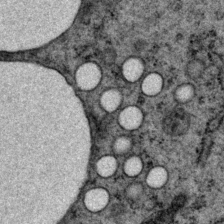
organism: P. pacificus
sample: Pharynx